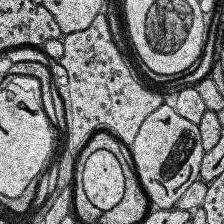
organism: Human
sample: Temporal Lobe